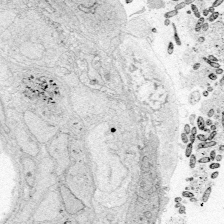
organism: Zebrafish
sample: Whole-Brain